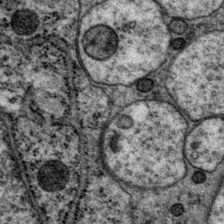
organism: P. pacificus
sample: Pharynx